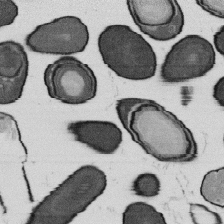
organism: B. subtilis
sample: Bacterial spore